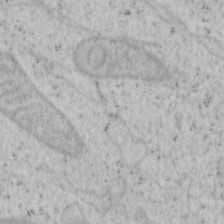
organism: Human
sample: HeLa cells